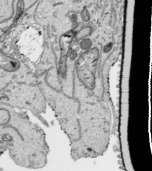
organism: Human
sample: Mitochondria in HCT116 cells